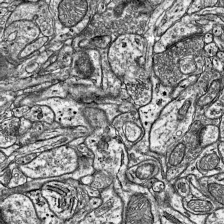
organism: Mouse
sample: Visual Cortex